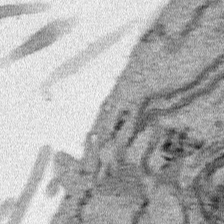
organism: Human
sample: Mitochondria in HCT116 cells